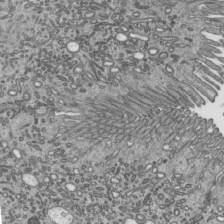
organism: Mouse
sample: Mouse epididymis efferent ductule cilia